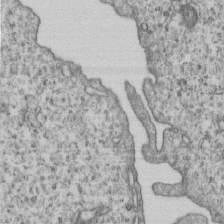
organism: Human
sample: MDA-MB-231 cells